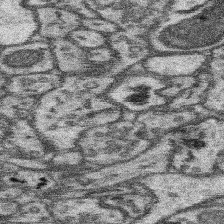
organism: Mouse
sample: Somatosensory cortex neuropil